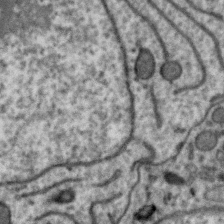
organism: Zebra finch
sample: Brain